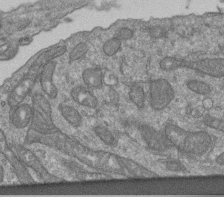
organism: Human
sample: Retinal organoid Rod and Cone cells